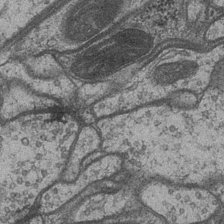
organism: Drosophila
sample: Optic medulla